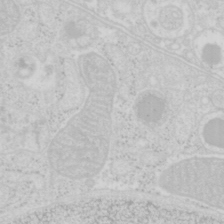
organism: Mouse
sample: Pancreas